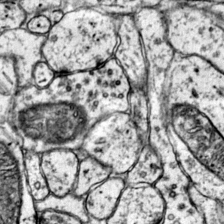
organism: Mouse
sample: Primary visual cortex